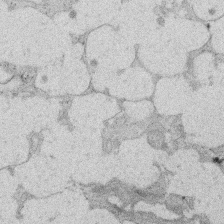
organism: Rat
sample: Salivary granule